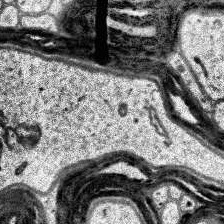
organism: Human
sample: Temporal Lobe